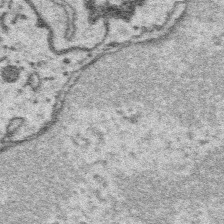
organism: Platynereis dumerilii